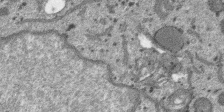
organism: Human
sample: Lung epithelial cells infected with SARS-CoV-2